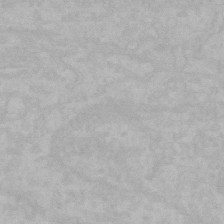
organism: Mouse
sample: Choroid plexus